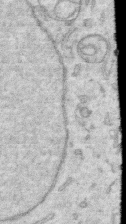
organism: Human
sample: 1205lu cells